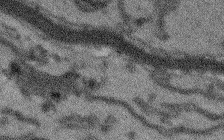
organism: Arabidopsis thaliana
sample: Root tip